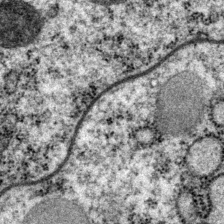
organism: P. pacificus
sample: Pharynx